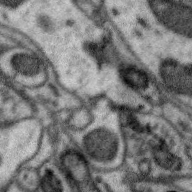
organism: Zebra finch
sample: Brain